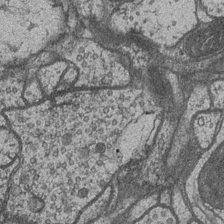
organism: Drosophila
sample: Optic medulla